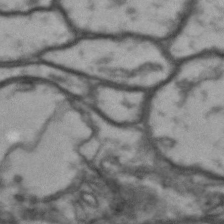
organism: Drosophila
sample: Brain